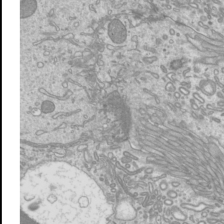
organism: Mouse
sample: Cilia; mouse epididymis